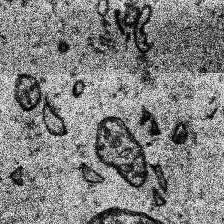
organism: Human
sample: Temporal Lobe